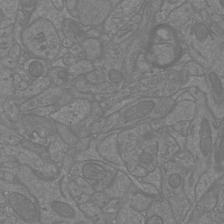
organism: Mouse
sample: Cortical neurons